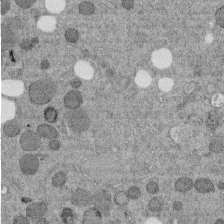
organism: C. elegans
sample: C. elegans embryo early stage